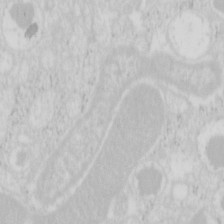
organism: Mouse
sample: Pancreas